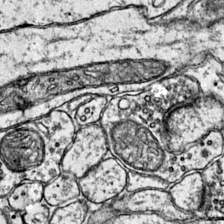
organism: Mouse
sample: Primary visual cortex